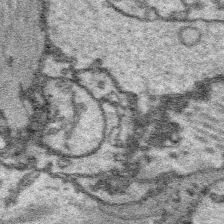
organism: Platynereis dumerilii